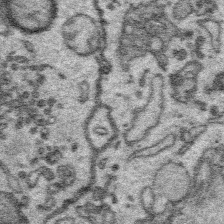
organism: Platynereis dumerilii